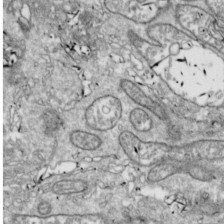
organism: Drosophila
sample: Cell division; meiosis; drosophila spermatocytes